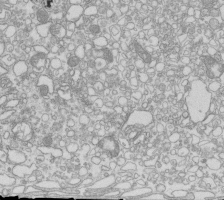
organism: Mouse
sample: Macrophages